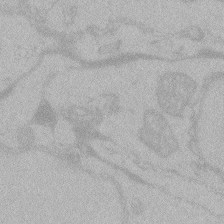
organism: Zebrafish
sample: Macrophage infected with Toxoplasma gondii